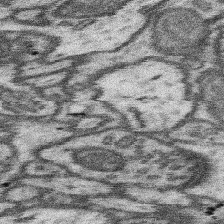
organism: Mouse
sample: Somatosensory cortex neuropil